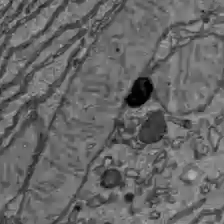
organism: C57BL Mouse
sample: Liver